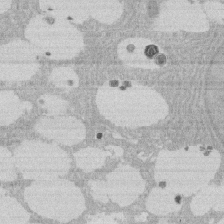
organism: Rat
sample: Salivary granule